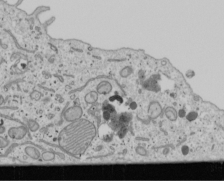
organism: Human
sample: Mitochondria in U2OS cells